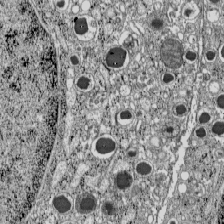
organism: C57BL Mouse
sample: Pancreatic islet